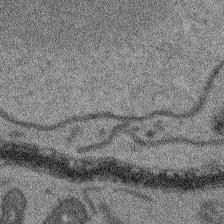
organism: Arabidopsis thaliana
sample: Root tip